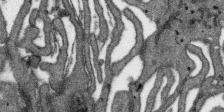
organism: Human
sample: Lung epithelial cells, uninfected (mock) control